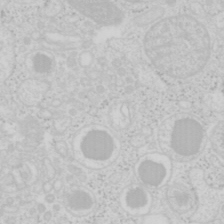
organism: Mouse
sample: Pancreas